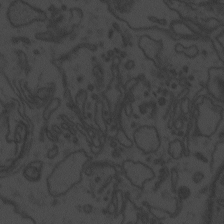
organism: Zebrafish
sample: Macrophage infected with Toxoplasma gondii